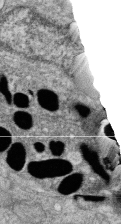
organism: Zebrafish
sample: Cilia; retinal pigment epithelium